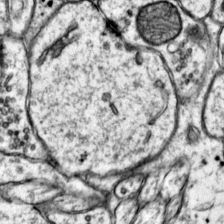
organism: Mouse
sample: Primary visual cortex